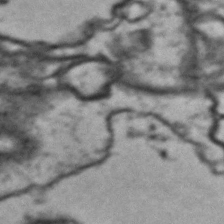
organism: Drosophila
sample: Brain